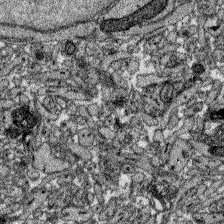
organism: Zebrafish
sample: Larval olfactory bulb